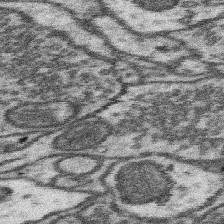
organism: Mouse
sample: Somatosensory cortex neuropil